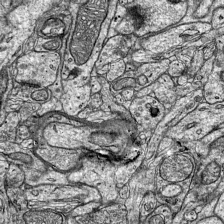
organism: Mouse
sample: Visual Cortex